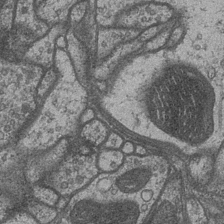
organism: Drosophila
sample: Optic medulla